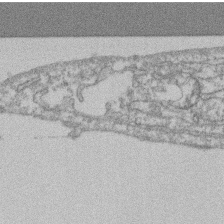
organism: Mouse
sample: T cell stromal cell synapse